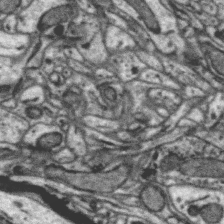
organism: Zebra finch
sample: Brain